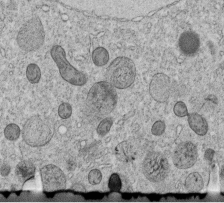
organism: C. elegans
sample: C. elegans embryo early stage